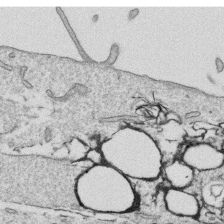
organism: Human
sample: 1205lu cells